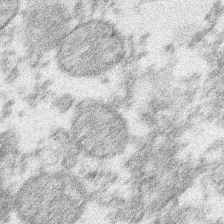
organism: Xenopus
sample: Cilia; centrioles in frog embryo cells